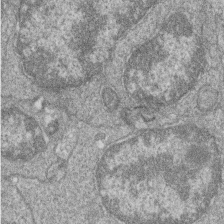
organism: Zebrafish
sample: Cilia; retinal pigment epithelium